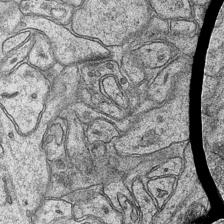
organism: Mouse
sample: CA1 Hippocampus